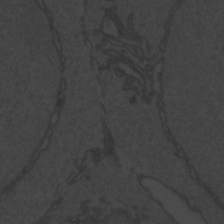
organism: Zebrafish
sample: Macrophage infected with Toxoplasma gondii